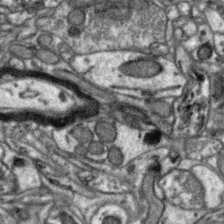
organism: Zebra finch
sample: Brain